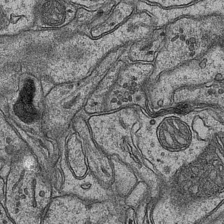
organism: Mouse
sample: CA1 Hippocampus